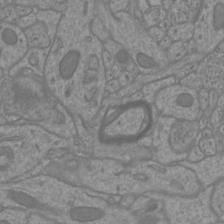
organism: Mouse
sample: Cortical neurons